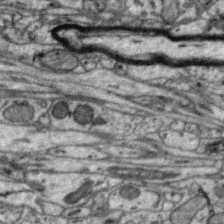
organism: Zebra finch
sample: Brain